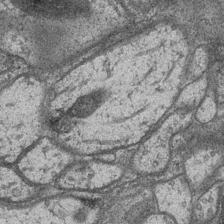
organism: Drosophila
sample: Optic medulla